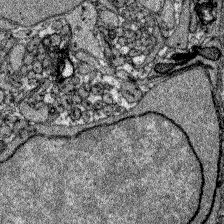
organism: Zebrafish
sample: Larval olfactory bulb